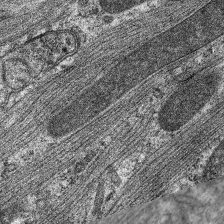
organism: C. elegans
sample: Pharynx